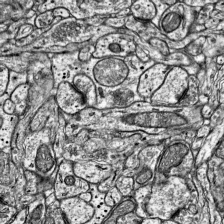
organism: Mouse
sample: Visual Cortex